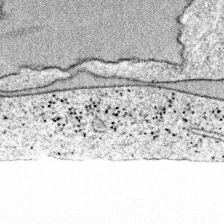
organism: Human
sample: HeLa cells